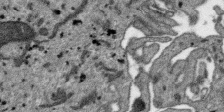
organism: Human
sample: Lung epithelial cells, uninfected (mock) control